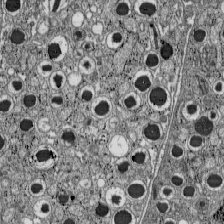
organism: C57BL Mouse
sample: Pancreatic islet